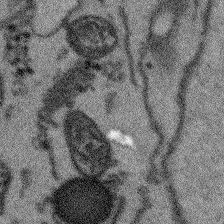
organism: Arabidopsis thaliana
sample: Root tip